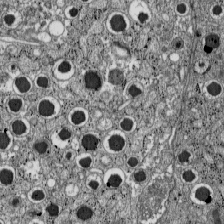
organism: C57BL Mouse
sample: Pancreatic islet